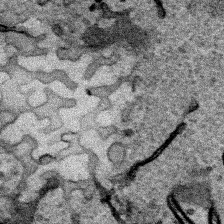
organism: Human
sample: Mitochondria in HCT116 cells